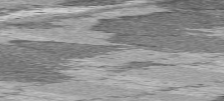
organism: C57BL Mouse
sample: Heart